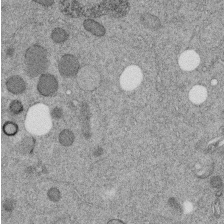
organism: C. elegans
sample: C. elegans embryo early stage